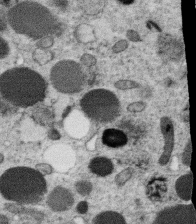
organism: C. elegans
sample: C. elegans oocyte; sperm cells